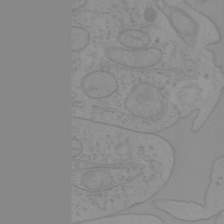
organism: Human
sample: HeLa cells